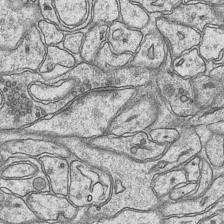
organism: Mouse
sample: CA1 Hippocampus